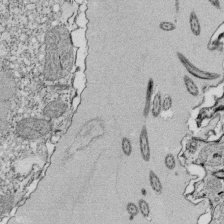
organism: Tetrahymena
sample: Cilia in tetrahymena